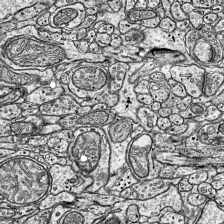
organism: Mouse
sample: Visual Cortex